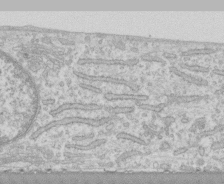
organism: Human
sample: CRL-1474